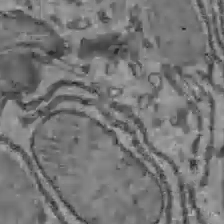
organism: C57BL Mouse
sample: Liver